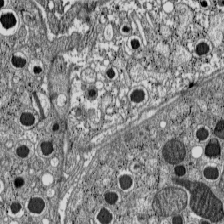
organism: C57BL Mouse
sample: Pancreatic islet